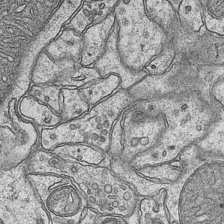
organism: Mouse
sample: CA1 Hippocampus